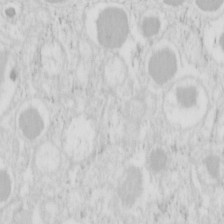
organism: Mouse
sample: Pancreas